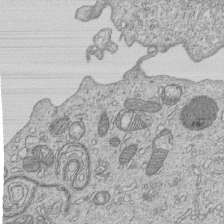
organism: Human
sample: MDA-MB-231 cells